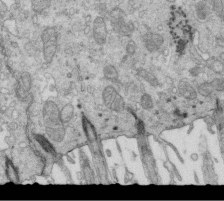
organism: Mouse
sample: Multiciliated cells